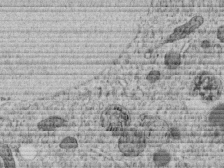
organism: C. elegans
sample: C. elegans embryo early stage